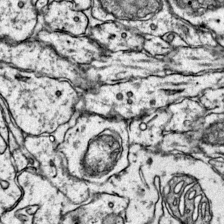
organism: Mouse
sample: Primary visual cortex